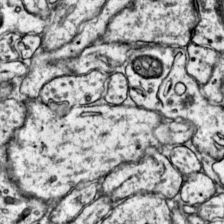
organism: Mouse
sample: Primary visual cortex